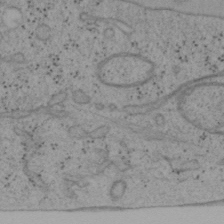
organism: Human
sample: HeLa cells